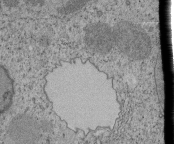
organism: Tetrahymena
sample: Cilia in tetrahymena